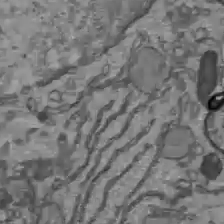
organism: C57BL Mouse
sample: Liver